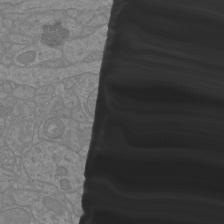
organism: Mouse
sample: Cortical neurons